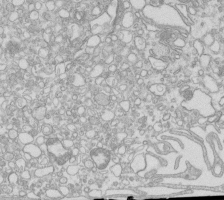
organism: Mouse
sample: Macrophages